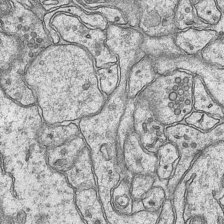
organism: Mouse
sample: CA1 Hippocampus